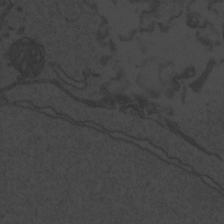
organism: Zebrafish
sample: Macrophage infected with Toxoplasma gondii